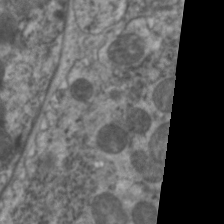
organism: C. elegans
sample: Pharynx